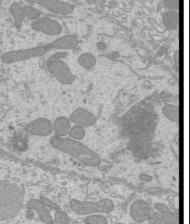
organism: Mouse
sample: Cilia; mouse epididymis